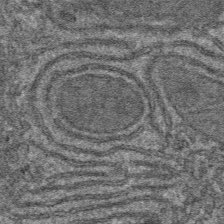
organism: Mouse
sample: Mouse hepatocytes